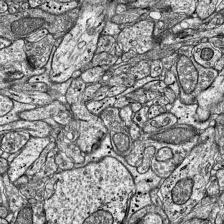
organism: Mouse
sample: Visual Cortex